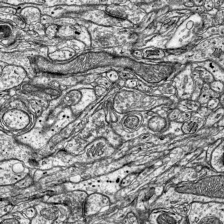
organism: Mouse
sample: Visual Cortex